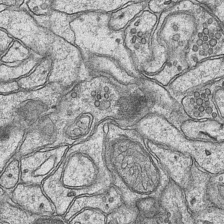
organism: Mouse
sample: CA1 Hippocampus